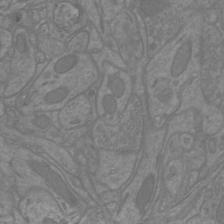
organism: Mouse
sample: Cortical neurons